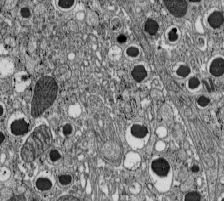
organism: C57BL Mouse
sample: Pancreatic islet